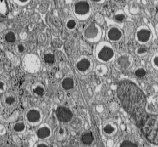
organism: C57BL Mouse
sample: Pancreatic islet